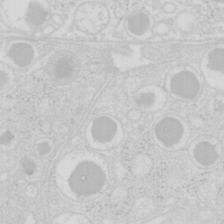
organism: Mouse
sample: Pancreas